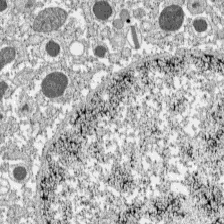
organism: C57BL Mouse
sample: Pancreatic islet